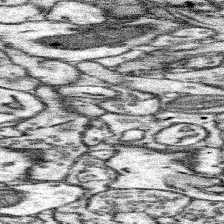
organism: Mouse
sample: Somatosensory cortex neuropil